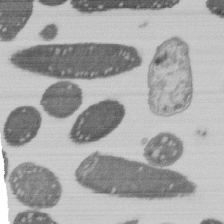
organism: E. coli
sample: Bacterial nucleoid